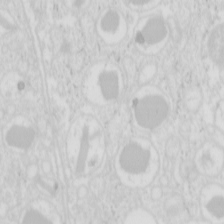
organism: Mouse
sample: Pancreas